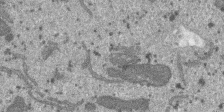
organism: Human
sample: Lung epithelial cells infected with SARS-CoV-2